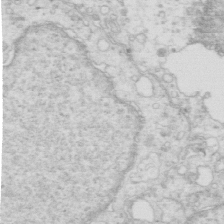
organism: Mouse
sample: Multiciliated cells